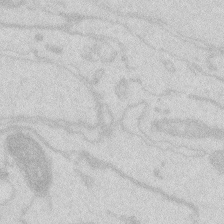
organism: Zebrafish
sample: Macrophage